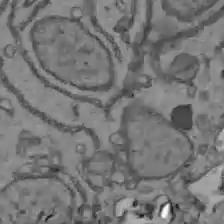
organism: C57BL Mouse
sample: Liver